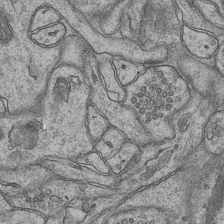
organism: Mouse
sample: CA1 Hippocampus